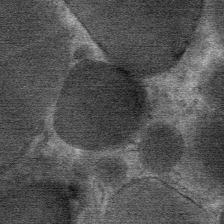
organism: Mouse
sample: Mouse Salivary gland